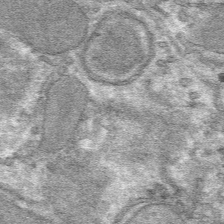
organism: Mouse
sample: Mouse hepatocytes